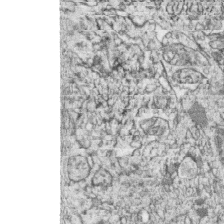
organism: Zebrafish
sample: synaptic ribbons in rod cells and cone cells